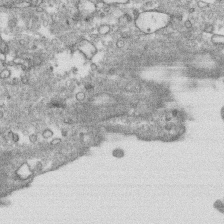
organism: Human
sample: CRL-1474